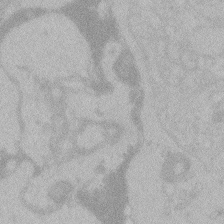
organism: Zebrafish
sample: Macrophage infected with Toxoplasma gondii